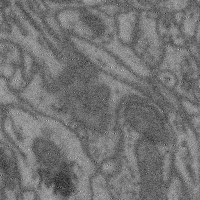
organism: Mouse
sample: Cerebral cortex